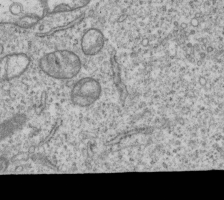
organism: Human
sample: MDA-MB-231 cells